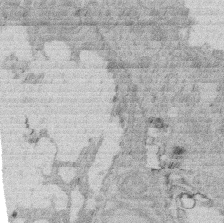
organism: Rat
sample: Salivary granule